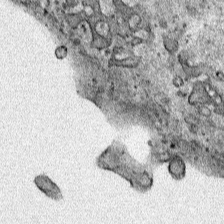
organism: Human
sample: Mitochondria in HCT116 cells